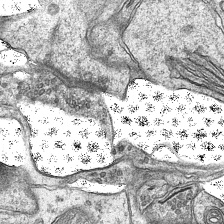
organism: Mouse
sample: CA1 Hippocampus